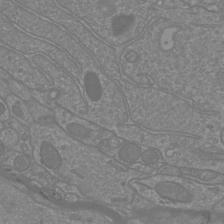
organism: Mouse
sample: Cortical neurons